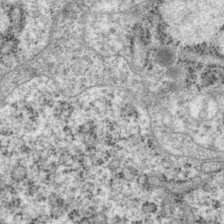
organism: P. pacificus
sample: Pharynx